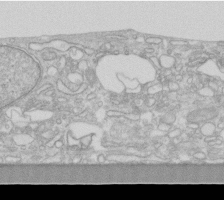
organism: Human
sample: Fibroblast cells